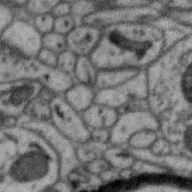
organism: Zebra finch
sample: Brain